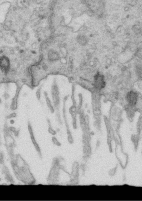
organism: Mouse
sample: Multiciliated cells